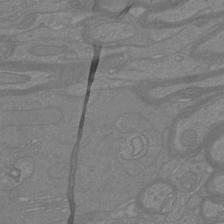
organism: Mouse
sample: Cortical neurons